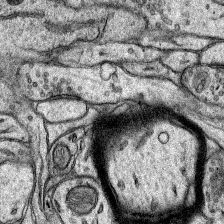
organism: Rat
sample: Hippocampus